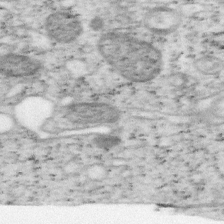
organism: Mouse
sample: OT-I killer T cells with ID8 ovarian cancer cells